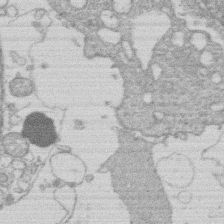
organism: Human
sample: Macrophage cells